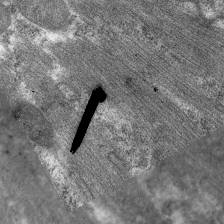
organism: C. elegans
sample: Pharynx